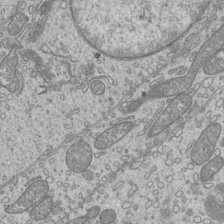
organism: Mouse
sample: Cilia; mouse epididymis